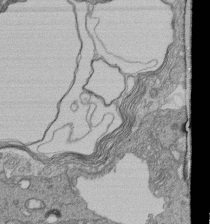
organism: Human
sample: Retinal organoid Rod and Cone cells